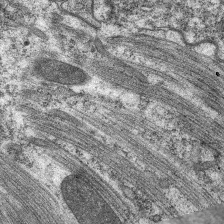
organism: C. elegans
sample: Pharynx